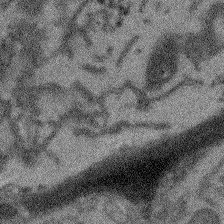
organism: Arabidopsis thaliana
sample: Root tip